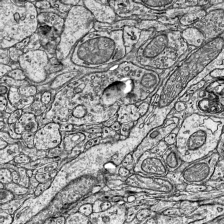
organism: Mouse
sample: Visual Cortex